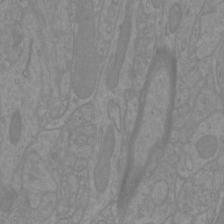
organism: Mouse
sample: Cortical neurons